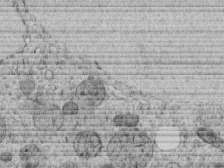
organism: C. elegans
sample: C. elegans embryo early stage